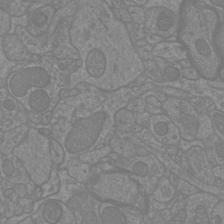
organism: Mouse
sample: Cortical neurons